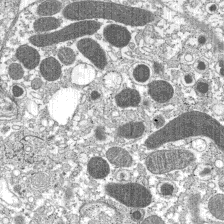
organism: C57BL Mouse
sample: Pancreatic islet